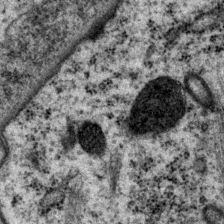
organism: P. pacificus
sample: Pharynx